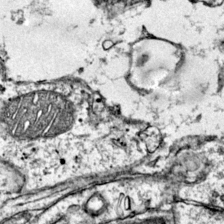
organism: Mouse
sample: Primary visual cortex